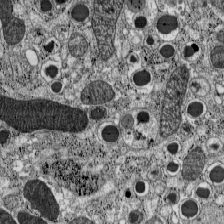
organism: C57BL Mouse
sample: Pancreatic islet